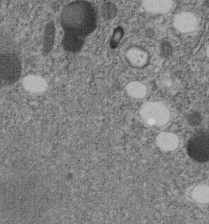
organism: C. elegans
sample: C. elegans embryo early stage